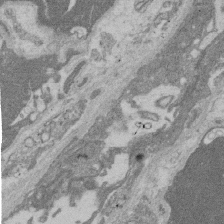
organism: Rat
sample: Salivary granule